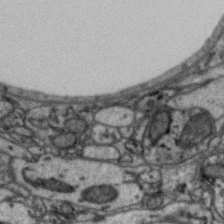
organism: Zebra finch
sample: Brain